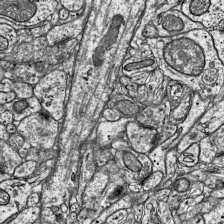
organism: Mouse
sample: Visual Cortex